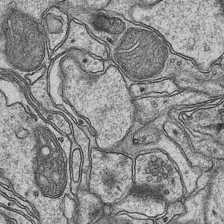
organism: Mouse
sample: CA1 Hippocampus